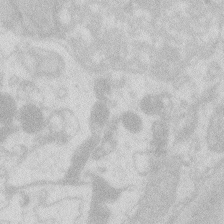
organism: Zebrafish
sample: Macrophage